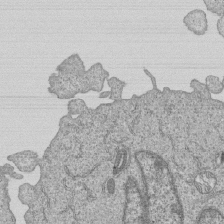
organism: Human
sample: MDA-MB-231 cells